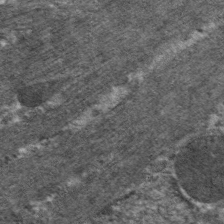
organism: C. elegans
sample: Pharynx